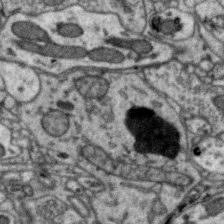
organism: Zebra finch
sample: Brain